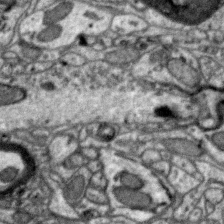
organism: Zebra finch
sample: Brain